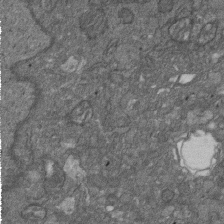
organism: Drosophila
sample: Nephrocyte